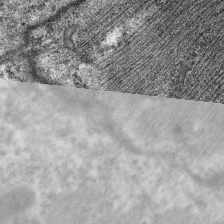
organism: C. elegans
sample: Pharynx